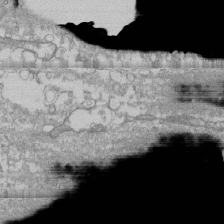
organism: Human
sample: CRL-1474